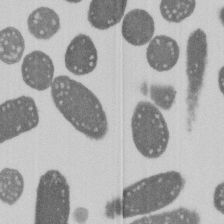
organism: E. coli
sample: Bacterial nucleoid